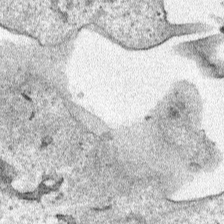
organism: Human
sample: Mitochondria in HCT116 cells